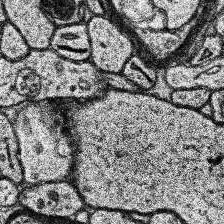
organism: Human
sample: Temporal Lobe